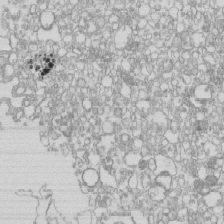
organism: Mouse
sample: Macrophages